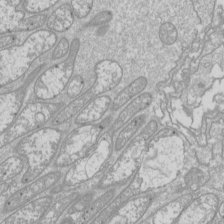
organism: Drosophila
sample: Cell division; meiosis; drosophila spermatocytes